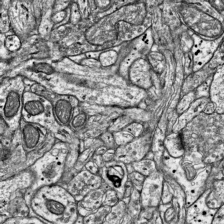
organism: Mouse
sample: Visual Cortex